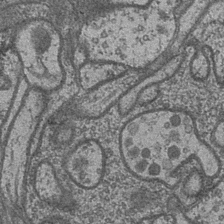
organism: Drosophila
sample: Optic medulla